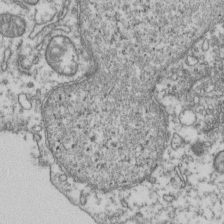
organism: Human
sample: Activated Jurkat CD4+ T cells